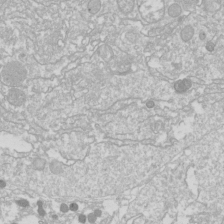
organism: Drosophila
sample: Cell division; meiosis; drosophila spermatocytes